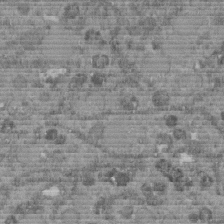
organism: C. elegans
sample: C. elegans embryo early stage